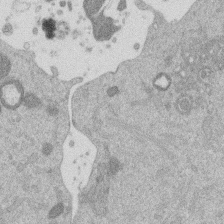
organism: Mouse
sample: Dividing mouse embryo 1 cell stage